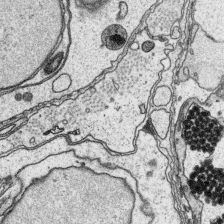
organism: Platynereis dumerilii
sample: Parapodia